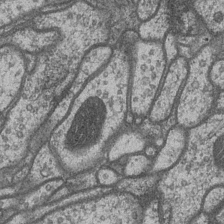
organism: Drosophila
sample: Optic medulla